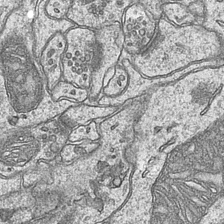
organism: Mouse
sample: CA1 Hippocampus